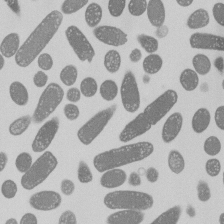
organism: E. coli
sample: Bacterial nucleoid